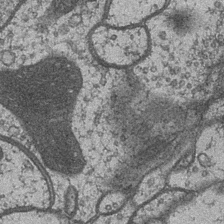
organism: Drosophila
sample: Optic medulla